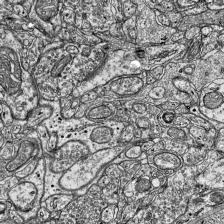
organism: Mouse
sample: Visual Cortex